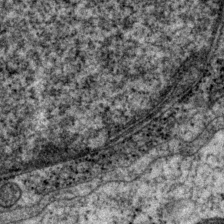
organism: P. pacificus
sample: Pharynx